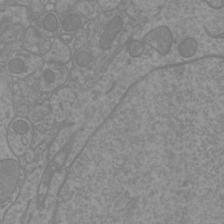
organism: Mouse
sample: Cortical neurons